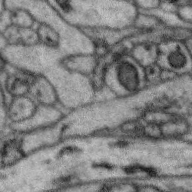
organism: Zebra finch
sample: Brain